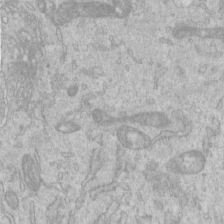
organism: Human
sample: Centriole in RPE cells